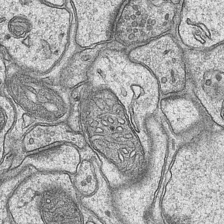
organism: Mouse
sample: CA1 Hippocampus